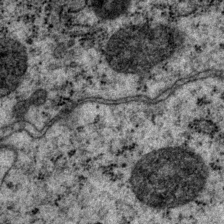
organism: P. pacificus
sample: Pharynx